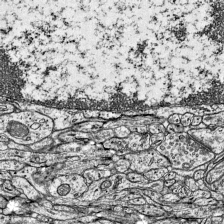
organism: Mouse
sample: Visual Cortex